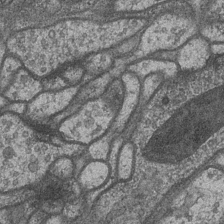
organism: Drosophila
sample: Optic medulla